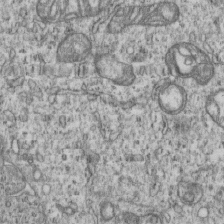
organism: Human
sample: MDA-MB-231 cells